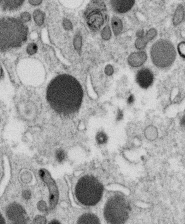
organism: C. elegans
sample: C. elegans oocyte; sperm cells